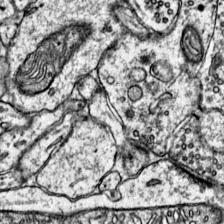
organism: Mouse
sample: Primary visual cortex